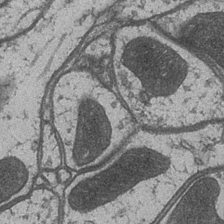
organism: Drosophila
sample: Optic medulla